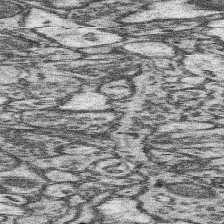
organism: Mouse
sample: Somatosensory cortex neuropil